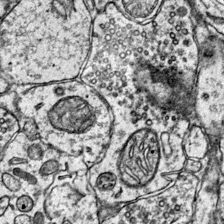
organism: Mouse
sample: Primary visual cortex